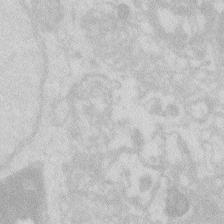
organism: Zebrafish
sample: Macrophage